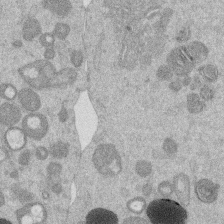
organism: Mouse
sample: Dividing mouse embryo 1 cell stage